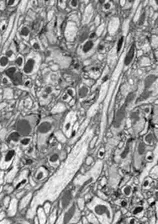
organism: Drosophila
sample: Optic lobe